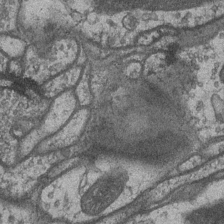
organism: Drosophila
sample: Optic medulla